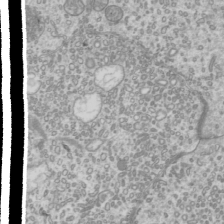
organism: Mouse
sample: Cilia; mouse epididymis